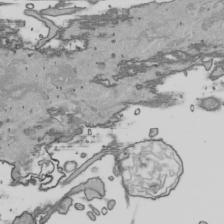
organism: Human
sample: Mitochondria in HCT116 cells